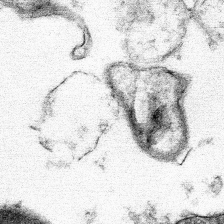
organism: Mouse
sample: Mouse hepatocytes